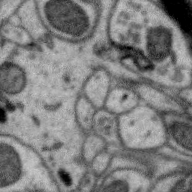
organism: Zebra finch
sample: Brain